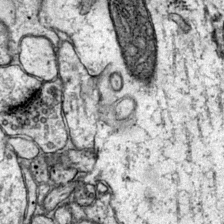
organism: Mouse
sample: Primary visual cortex